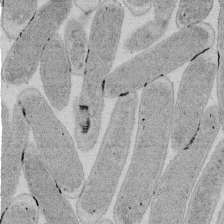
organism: E. coli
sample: Bacterial nucleoid